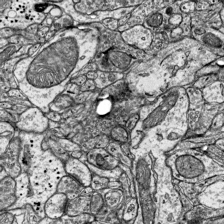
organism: Mouse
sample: Visual Cortex